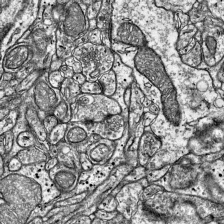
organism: Mouse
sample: Visual Cortex